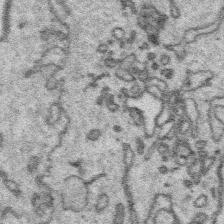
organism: Platynereis dumerilii